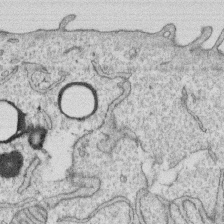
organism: Human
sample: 1205lu cells